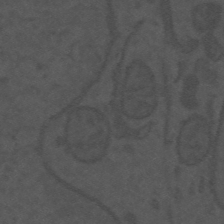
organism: Mouse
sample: Suprachiasmatic nucleus